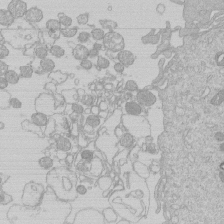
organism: Human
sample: Macrophage cells